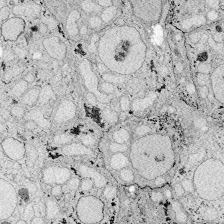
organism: Zebrafish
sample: Whole-Brain